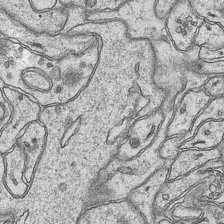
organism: Mouse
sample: CA1 Hippocampus